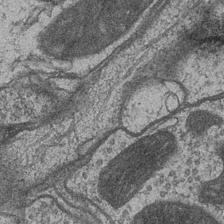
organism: Drosophila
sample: Optic medulla